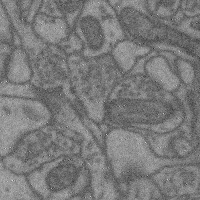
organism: Mouse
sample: Cerebral cortex